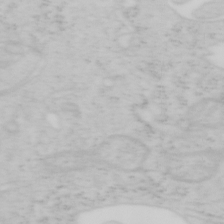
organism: Mouse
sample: OT-I killer T cells with ID8 ovarian cancer cells